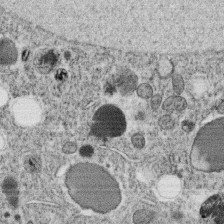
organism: C. elegans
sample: C. elegans oocyte; sperm cells